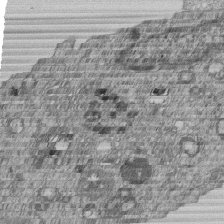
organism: Human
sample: MDA-MB-231 cells